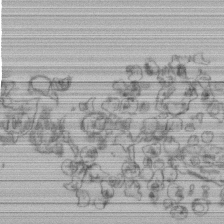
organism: Human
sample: Retinal organoid Rod and Cone cells